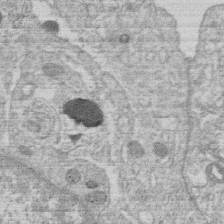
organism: Human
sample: Macrophage cells